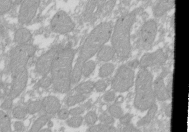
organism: Xenopus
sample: Cilia; centrioles in frog embryo cells